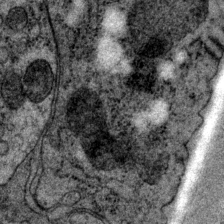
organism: P. pacificus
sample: Pharynx